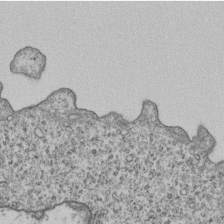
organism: Human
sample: MDA-MB-231 cells